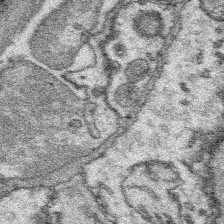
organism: Platynereis dumerilii